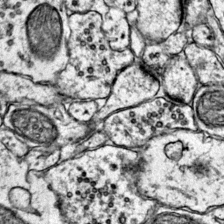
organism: Mouse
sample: Primary visual cortex